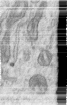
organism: Human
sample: Centriole in RPE cells